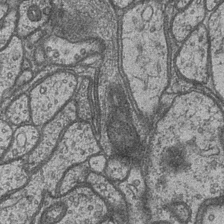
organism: Drosophila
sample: Optic medulla